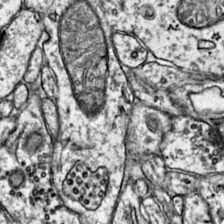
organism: Mouse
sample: Primary visual cortex